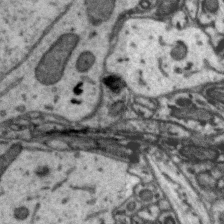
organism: Zebra finch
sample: Brain